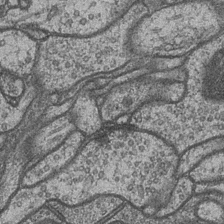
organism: Drosophila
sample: Optic medulla